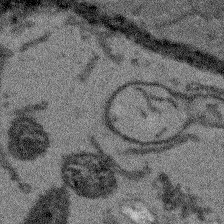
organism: Arabidopsis thaliana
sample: Root tip